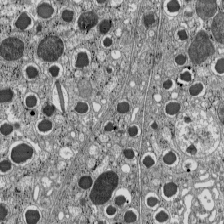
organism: C57BL Mouse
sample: Pancreatic islet